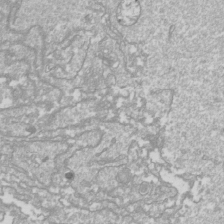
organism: Drosophila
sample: Cell division; meiosis; drosophila spermatocytes